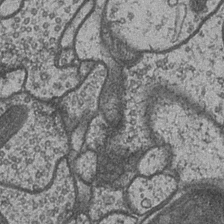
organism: Drosophila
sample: Optic medulla